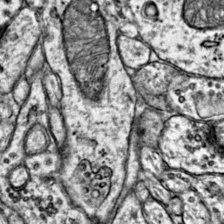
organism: Mouse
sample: Primary visual cortex